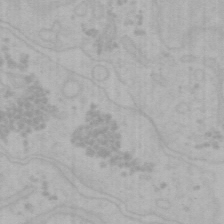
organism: Mouse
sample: Choroid plexus